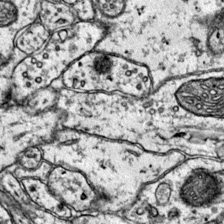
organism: Mouse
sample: Primary visual cortex